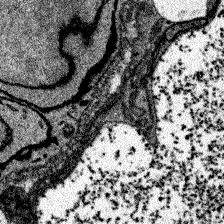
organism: Zebrafish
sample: Larval olfactory bulb